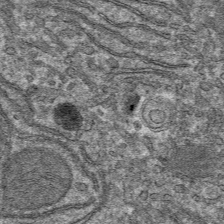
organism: Mouse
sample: Mouse hepatocytes